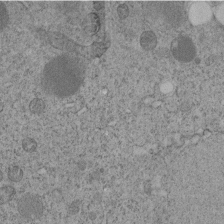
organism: C. elegans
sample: C. elegans embryo early stage